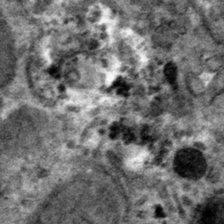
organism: Mouse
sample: Mouse hepatocytes